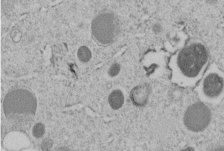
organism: C. elegans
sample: C. elegans embryo early stage